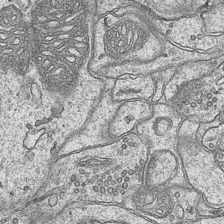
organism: Mouse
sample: CA1 Hippocampus